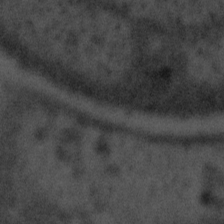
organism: Tuwongella immobilis